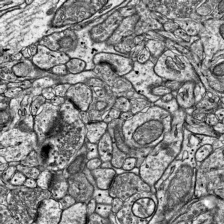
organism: Mouse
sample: Visual Cortex